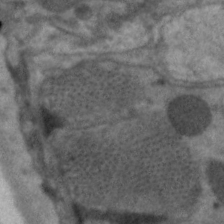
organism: C. elegans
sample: Pharynx